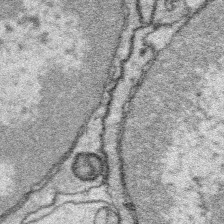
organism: Platynereis dumerilii